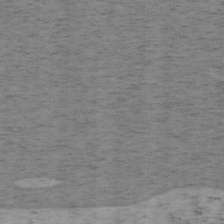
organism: Mouse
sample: OT-I killer T cells with ID8 ovarian cancer cells